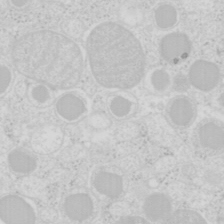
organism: Mouse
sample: Pancreas